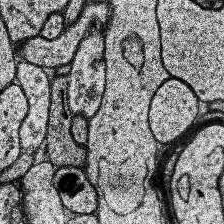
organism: Human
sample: Temporal Lobe